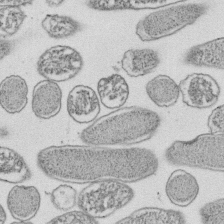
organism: E. coli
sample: Bacterial nucleoid